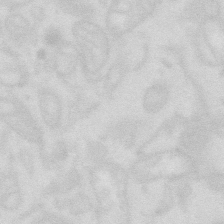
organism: Human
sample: HeLa cells